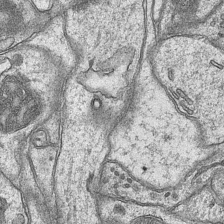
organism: Mouse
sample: CA1 Hippocampus